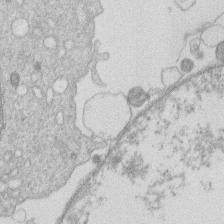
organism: Human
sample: Macrophage cells